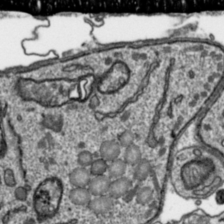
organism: Toxoplasma gondii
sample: Parasites in a vacuole inside a host cell